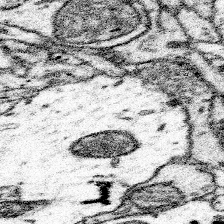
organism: Mouse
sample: Somatosensory cortex neuropil